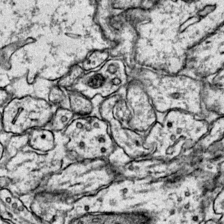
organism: Mouse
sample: Primary visual cortex